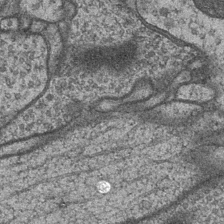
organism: Drosophila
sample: Optic medulla